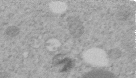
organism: C. elegans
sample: C. elegans embryo early stage